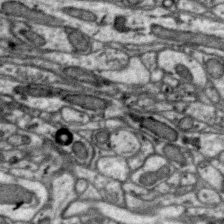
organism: Zebra finch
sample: Brain